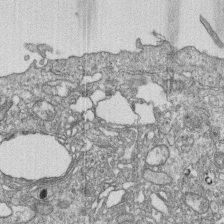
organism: Human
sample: HeLa cell HIV synapse